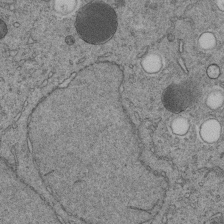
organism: C. elegans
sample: C. elegans embryo early stage